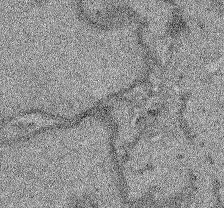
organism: Human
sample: HeLa cells